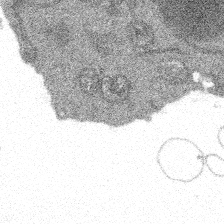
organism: Spongilla lacustris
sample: Multiple